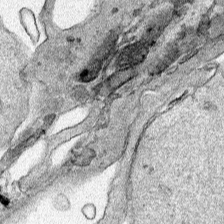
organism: Human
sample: Mitochondria in HCT116 cells